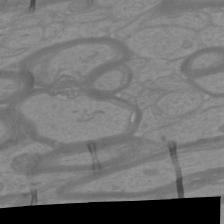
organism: Mouse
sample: Cortical neurons